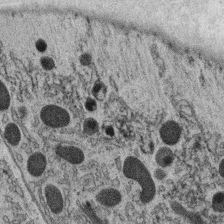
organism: C. elegans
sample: C. elegans oocyte; sperm cells